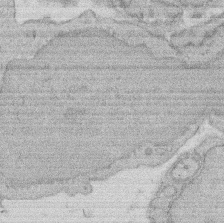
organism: Rat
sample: Salivary granule